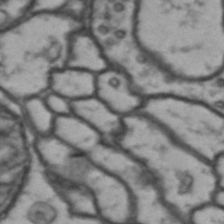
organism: Drosophila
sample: Brain